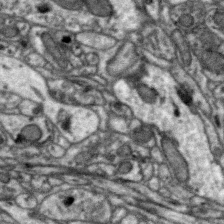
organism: Zebra finch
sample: Brain